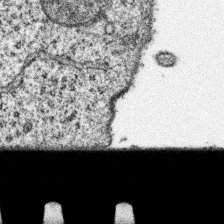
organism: Human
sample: HeLa cells